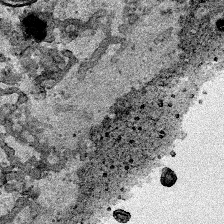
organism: Human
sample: Mitochondria in HCT116 cells